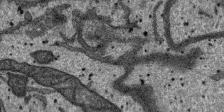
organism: Human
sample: Lung epithelial cells, uninfected (mock) control